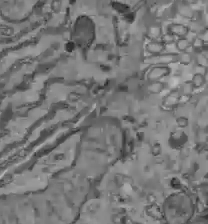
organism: C57BL Mouse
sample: Liver